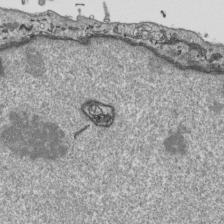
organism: Human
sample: Mitochondria in HCT116 cells